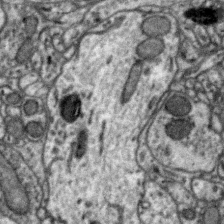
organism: Zebra finch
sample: Brain